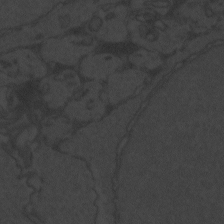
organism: Zebrafish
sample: Macrophage infected with Toxoplasma gondii